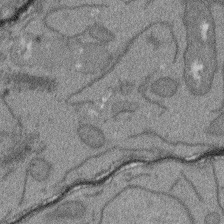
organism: Arabidopsis thaliana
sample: Root tip